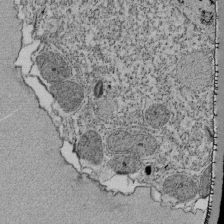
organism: Tetrahymena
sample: Cilia in tetrahymena